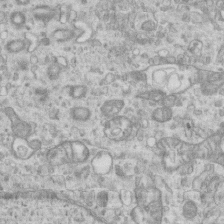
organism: Mouse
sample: Centriole in ependymal cells